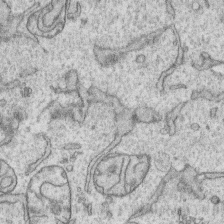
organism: Human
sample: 1205lu cells